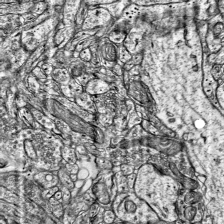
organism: Mouse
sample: Visual Cortex